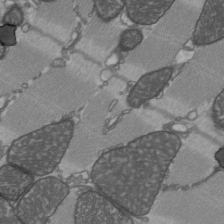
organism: C57BL Mouse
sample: Heart